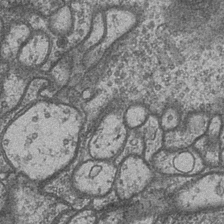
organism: Drosophila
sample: Optic medulla